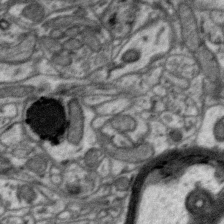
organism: Zebra finch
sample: Brain